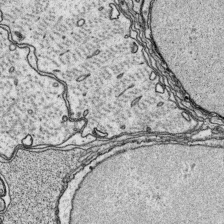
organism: Platynereis dumerilii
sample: Parapodia